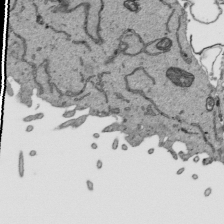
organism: Human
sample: Mitochondria in HCT116 cells